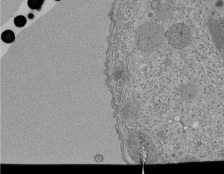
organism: Tetrahymena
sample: Cilia in tetrahymena